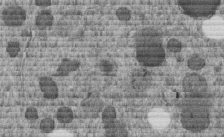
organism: C. elegans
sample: C. elegans embryo early stage